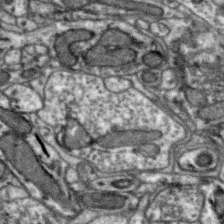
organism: Zebra finch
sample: Brain